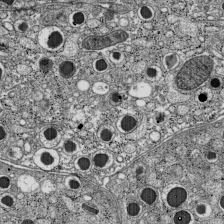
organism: C57BL Mouse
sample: Pancreatic islet